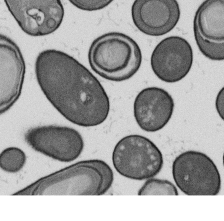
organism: B. subtilis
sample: Bacterial spore